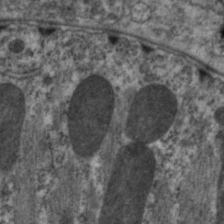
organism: C. elegans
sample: Pharynx